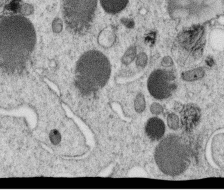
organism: C. elegans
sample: C. elegans oocyte; sperm cells